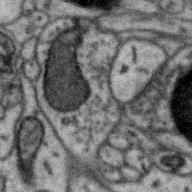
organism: Zebra finch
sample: Brain